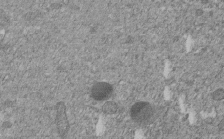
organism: C. elegans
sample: C. elegans embryo early stage